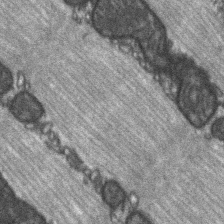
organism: C57BL Mouse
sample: Soleus